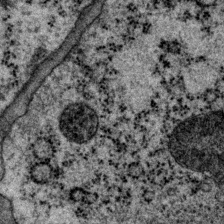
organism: P. pacificus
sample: Pharynx